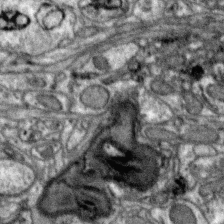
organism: Zebra finch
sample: Brain